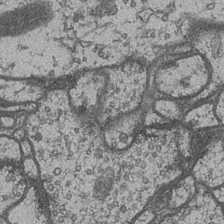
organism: Drosophila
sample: Optic medulla